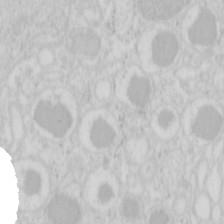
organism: Mouse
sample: Pancreas